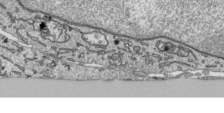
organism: Human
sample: Mitochondria in HCT116 cells